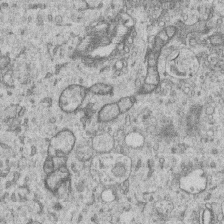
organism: Human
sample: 1205lu cells